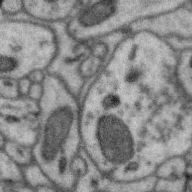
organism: Zebra finch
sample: Brain